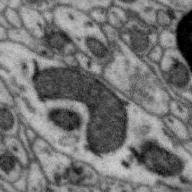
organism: Zebra finch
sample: Brain